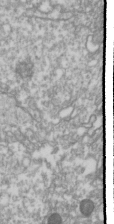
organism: Drosophila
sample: Cell division; meiosis; drosophila spermatocytes